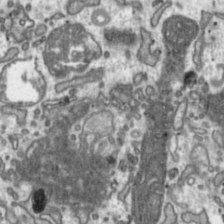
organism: Toxoplasma gondii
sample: Parasites in a vacuole inside a host cell